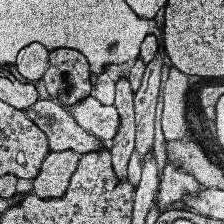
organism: Human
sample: Temporal Lobe